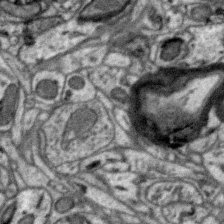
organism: Zebra finch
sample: Brain